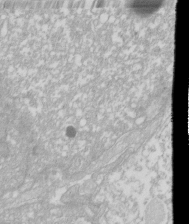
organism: Xenopus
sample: Cilia; centrioles in frog embryo cells